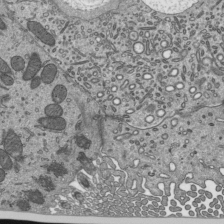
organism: Mouse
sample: Mouse epididymis efferent ductule cilia